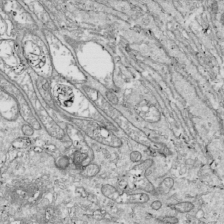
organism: Drosophila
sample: Cell division; meiosis; drosophila spermatocytes